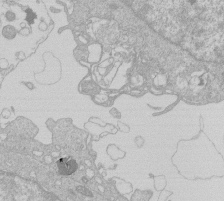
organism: Human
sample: Macrophage cells